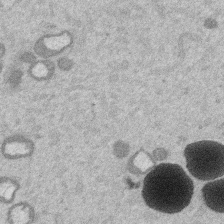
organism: Mouse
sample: Dividing mouse embryo 1 cell stage